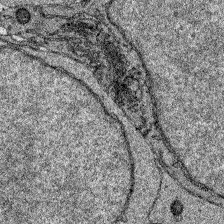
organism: Zebrafish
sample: Larval olfactory bulb